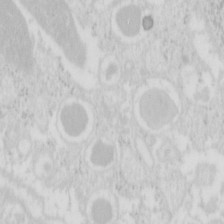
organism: Mouse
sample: Pancreas